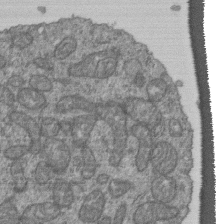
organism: Human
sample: Retinal organoid Rod and Cone cells